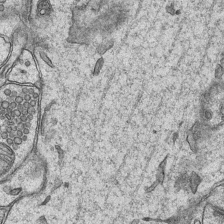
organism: Mouse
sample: CA1 Hippocampus